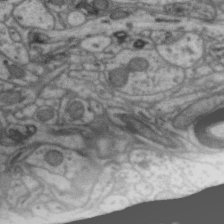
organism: Zebra finch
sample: Brain